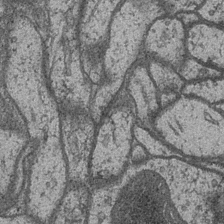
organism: Drosophila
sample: Optic medulla